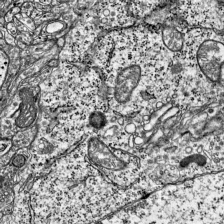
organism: Mouse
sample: Visual Cortex